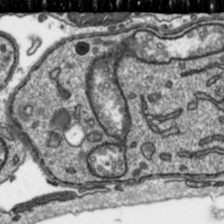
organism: Toxoplasma gondii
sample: Parasites in a vacuole inside a host cell